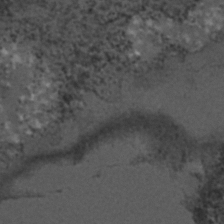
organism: C. elegans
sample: C. elegans embryo